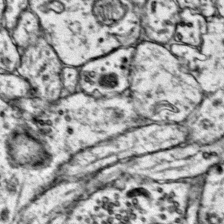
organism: Mouse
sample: Primary visual cortex